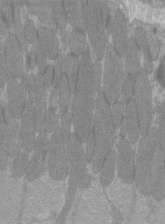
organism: C57BL Mouse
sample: Tibialis anterior muscle cell